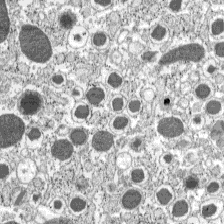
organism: C57BL Mouse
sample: Pancreatic islet